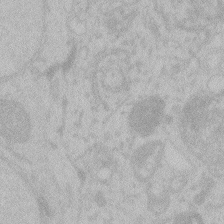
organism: Zebrafish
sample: Macrophage infected with Toxoplasma gondii